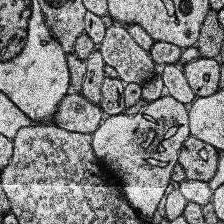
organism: Human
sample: Temporal Lobe